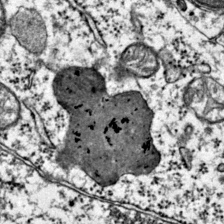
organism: Mouse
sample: Primary visual cortex